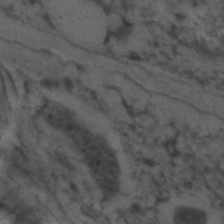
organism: C. elegans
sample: C. elegans embryo